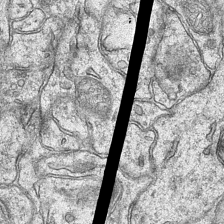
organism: Mouse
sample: CA1 Hippocampus